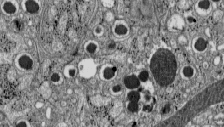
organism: C57BL Mouse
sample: Pancreatic islet